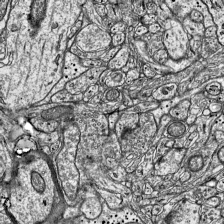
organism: Mouse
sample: Visual Cortex